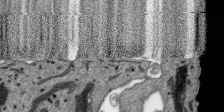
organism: Human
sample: Lung epithelial cells, uninfected (mock) control